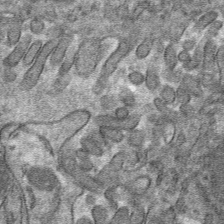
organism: Mouse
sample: Mouse hepatocytes